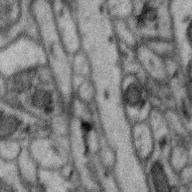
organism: Zebra finch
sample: Brain